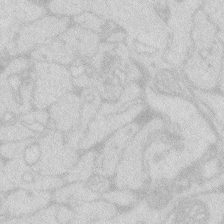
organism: Zebrafish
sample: Macrophage